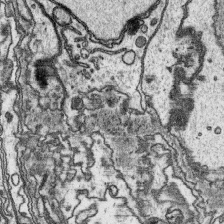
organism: Platynereis dumerilii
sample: Parapodia